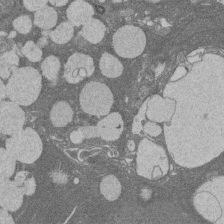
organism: Rat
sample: Salivary granule